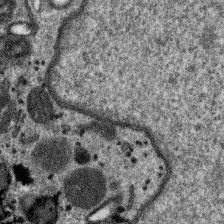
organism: Human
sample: Lung epithelial cells infected with SARS-CoV-2